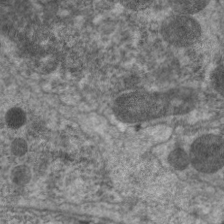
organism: C. elegans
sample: Pharynx